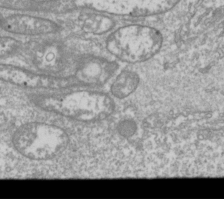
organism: Drosophila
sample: Cell division; meiosis; drosophila spermatocytes